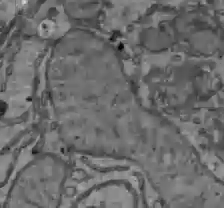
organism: C57BL Mouse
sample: Liver